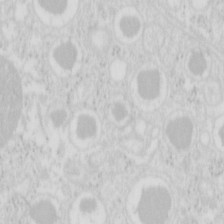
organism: Mouse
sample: Pancreas